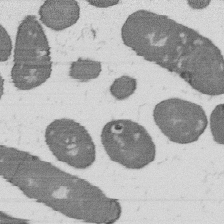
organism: B. subtilis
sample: Bacterial spore